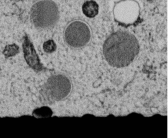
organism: C. elegans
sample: C. elegans embryo early stage